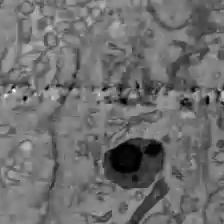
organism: C57BL Mouse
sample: Liver